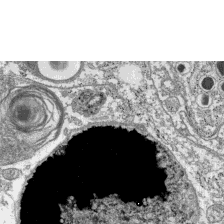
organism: C57BL Mouse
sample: Pancreatic islet